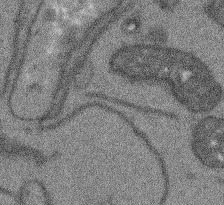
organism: Arabidopsis thaliana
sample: Root tip